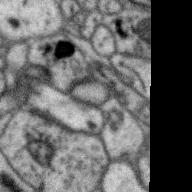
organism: Zebra finch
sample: Brain